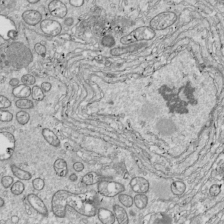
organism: Drosophila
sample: Cell division; meiosis; drosophila spermatocytes